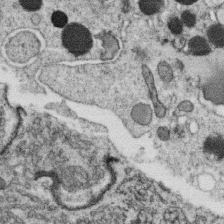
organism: C. elegans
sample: C. elegans oocyte; sperm cells